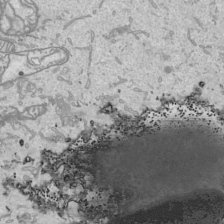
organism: Human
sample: Mitochondria in HCT116 cells